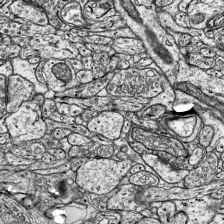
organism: Mouse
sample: Visual Cortex